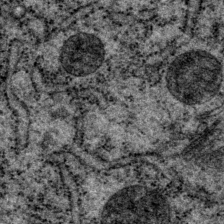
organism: P. pacificus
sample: Pharynx